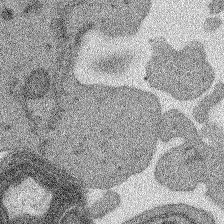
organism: Human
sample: HeLa cells